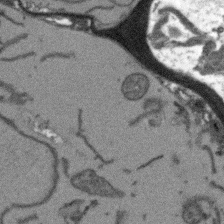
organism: Arabidopsis thaliana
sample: Root tip